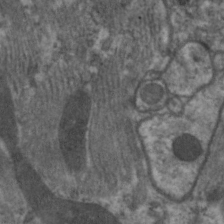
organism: C. elegans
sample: Pharynx